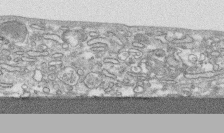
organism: Human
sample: CRL-1474